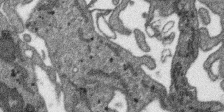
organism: Human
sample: Lung epithelial cells infected with SARS-CoV-2